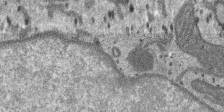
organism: Human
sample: Lung epithelial cells infected with SARS-CoV-2